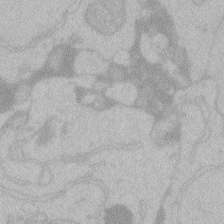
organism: Zebrafish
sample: Macrophage infected with Toxoplasma gondii